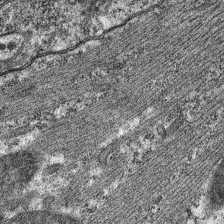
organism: C. elegans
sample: Pharynx